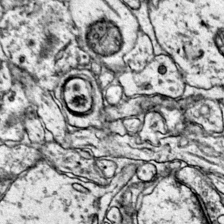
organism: Mouse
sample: Primary visual cortex